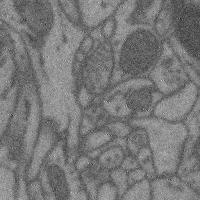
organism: Mouse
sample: Cerebral cortex